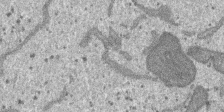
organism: Human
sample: Lung epithelial cells infected with SARS-CoV-2